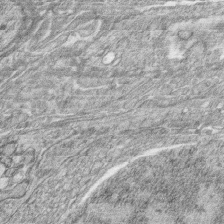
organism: Zebrafish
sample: synaptic ribbons in rod cells and cone cells